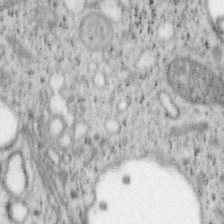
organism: Mouse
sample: OT-I killer T cells with ID8 ovarian cancer cells